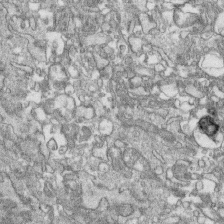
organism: Human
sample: CRL-1474